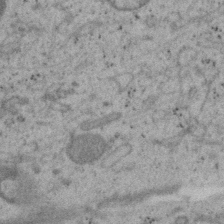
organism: Human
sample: HeLa cells